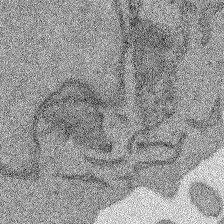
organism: Human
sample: HeLa cells